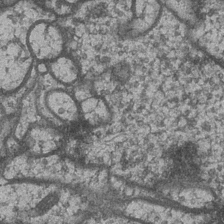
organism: Drosophila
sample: Optic medulla